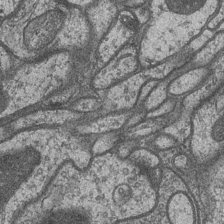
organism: Drosophila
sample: Optic medulla